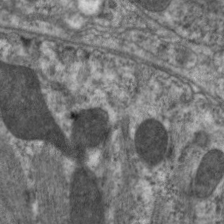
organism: C. elegans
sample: Pharynx